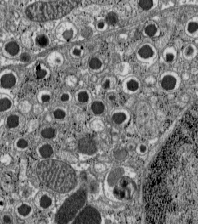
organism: C57BL Mouse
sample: Pancreatic islet